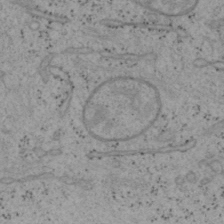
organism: Human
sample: HeLa cells